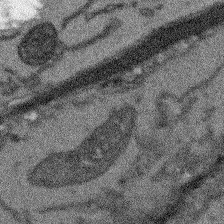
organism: Arabidopsis thaliana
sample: Root tip